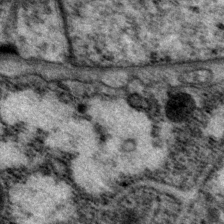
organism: P. pacificus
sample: Pharynx